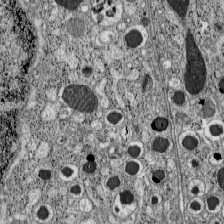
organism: C57BL Mouse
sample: Pancreatic islet